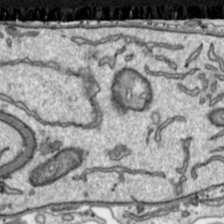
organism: Toxoplasma gondii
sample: Parasites in a vacuole inside a host cell